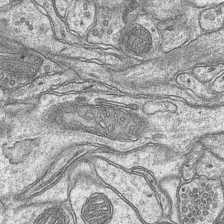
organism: Mouse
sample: CA1 Hippocampus